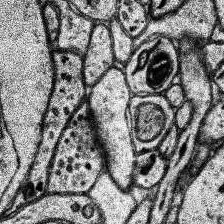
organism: Human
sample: Temporal Lobe